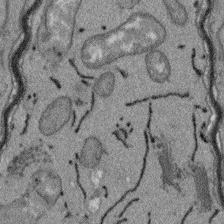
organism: Arabidopsis thaliana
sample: Root tip